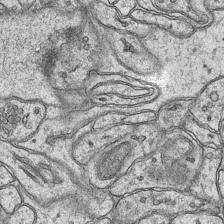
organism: Mouse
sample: CA1 Hippocampus